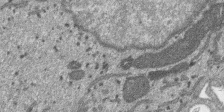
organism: Human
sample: Lung epithelial cells infected with SARS-CoV-2